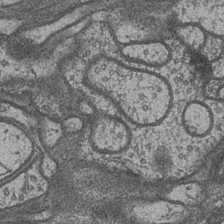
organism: Drosophila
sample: Optic medulla